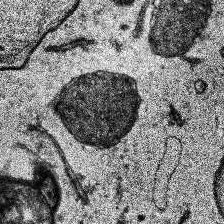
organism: Human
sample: Temporal Lobe